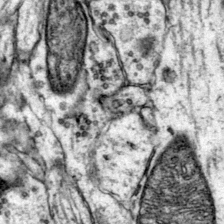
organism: Mouse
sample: Primary visual cortex